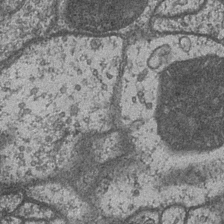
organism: Drosophila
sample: Optic medulla